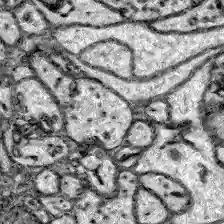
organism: Zebrafish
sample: Brain